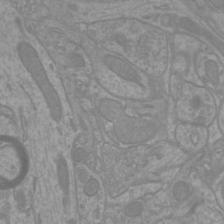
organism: Mouse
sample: Cortical neurons